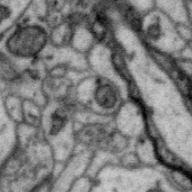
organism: Zebra finch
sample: Brain